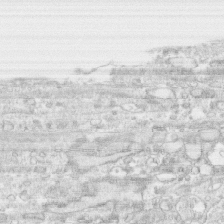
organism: Human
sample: CRL-1474